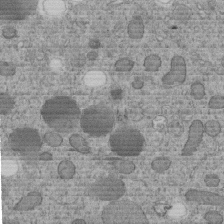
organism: C. elegans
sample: C. elegans embryo early stage